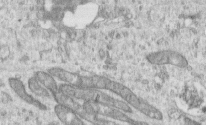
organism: Human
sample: Centriole in RPE cells